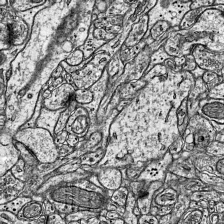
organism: Mouse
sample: Visual Cortex